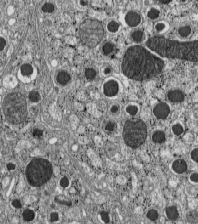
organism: C57BL Mouse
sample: Pancreatic islet